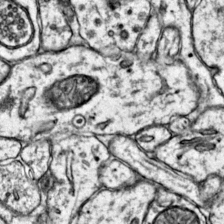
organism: Mouse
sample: Primary visual cortex